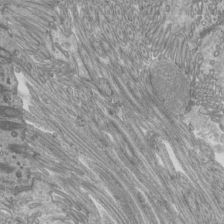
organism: Mouse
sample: Cilia; mouse epididymis